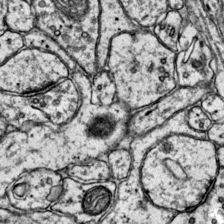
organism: Mouse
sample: Primary visual cortex